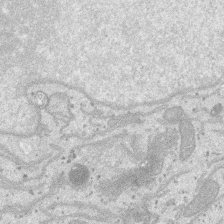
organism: Human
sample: Lung epithelial cells infected with SARS-CoV-2